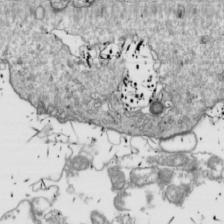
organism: Drosophila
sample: Cell division; meiosis; drosophila spermatocytes